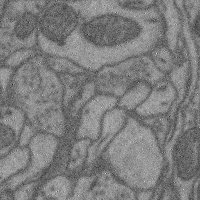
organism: Mouse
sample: Cerebral cortex